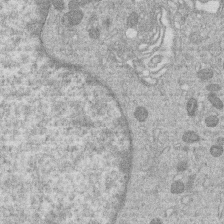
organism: Human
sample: Macrophage cells